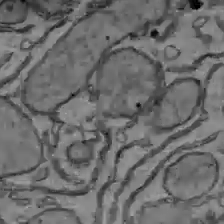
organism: C57BL Mouse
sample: Liver